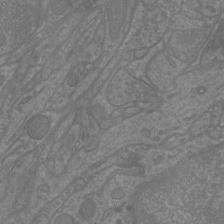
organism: Mouse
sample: Cortical neurons